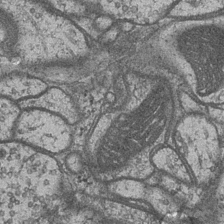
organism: Drosophila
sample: Optic medulla